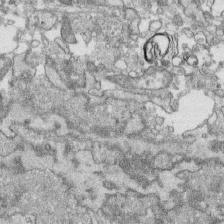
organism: Human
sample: CRL-1474